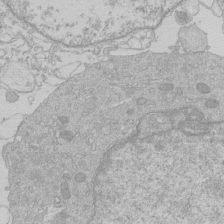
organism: Human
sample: Macrophage cells